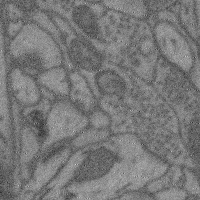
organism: Mouse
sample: Cerebral cortex